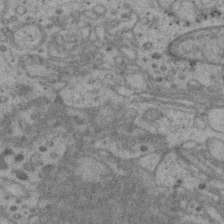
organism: Human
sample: HeLa cells